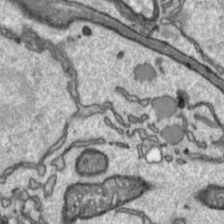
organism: Toxoplasma gondii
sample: Parasites in a vacuole inside a host cell